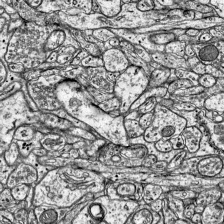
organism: Mouse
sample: Visual Cortex